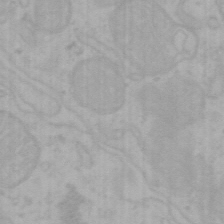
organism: Mouse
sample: Choroid plexus